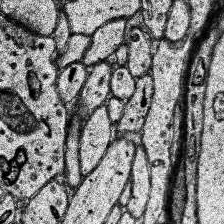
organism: Human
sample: Temporal Lobe